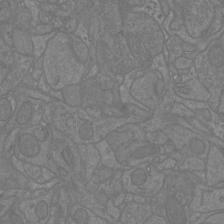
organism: Mouse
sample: Cortical neurons